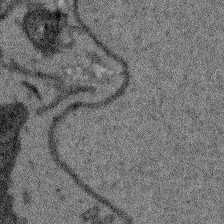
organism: Arabidopsis thaliana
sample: Root tip